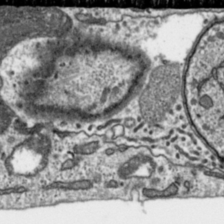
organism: Toxoplasma gondii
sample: Parasites in a vacuole inside a host cell